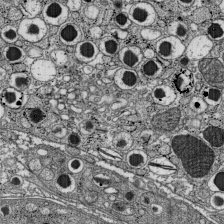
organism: C57BL Mouse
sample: Pancreatic islet